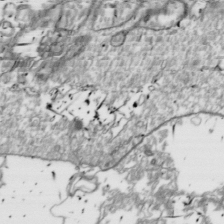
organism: Drosophila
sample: Cell division; meiosis; drosophila spermatocytes